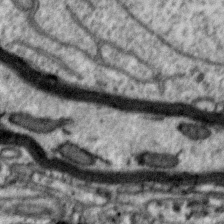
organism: Zebra finch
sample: Brain